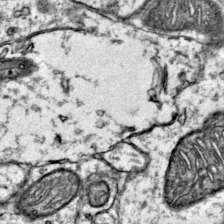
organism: Mouse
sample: Primary visual cortex